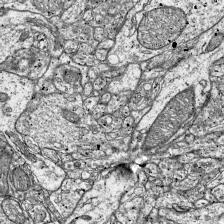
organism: Mouse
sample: Visual Cortex